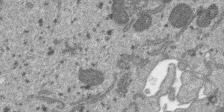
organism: Human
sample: Lung epithelial cells infected with SARS-CoV-2